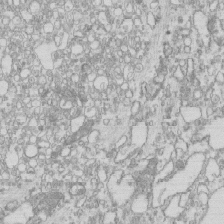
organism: Mouse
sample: Macrophages